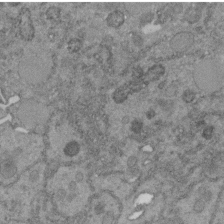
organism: C. elegans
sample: C. elegans embryo early stage